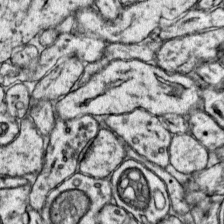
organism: Mouse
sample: Primary visual cortex